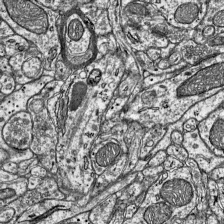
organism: Mouse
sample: Visual Cortex